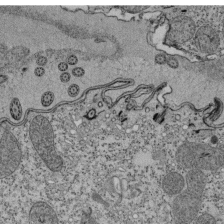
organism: Tetrahymena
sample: Cilia in tetrahymena